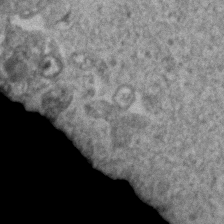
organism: Human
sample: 1205lu cells